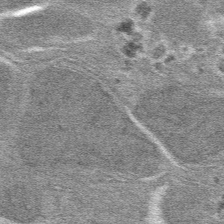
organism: Mouse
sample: Mouse hepatocytes